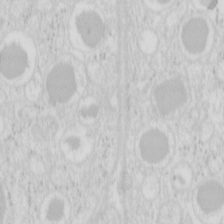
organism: Mouse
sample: Pancreas